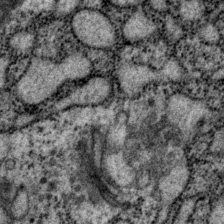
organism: P. pacificus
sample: Pharynx